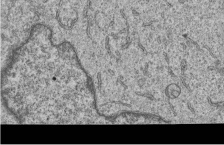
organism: Human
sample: MDA-MB-231 cells